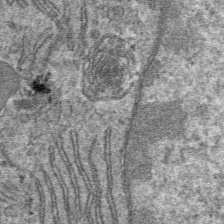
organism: Mouse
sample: Mouse hepatocytes